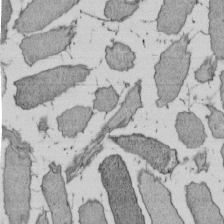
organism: E. coli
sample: Bacterial nucleoid